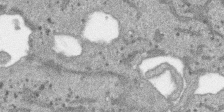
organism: Human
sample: Lung epithelial cells infected with SARS-CoV-2